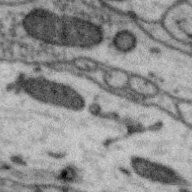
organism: Zebra finch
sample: Brain